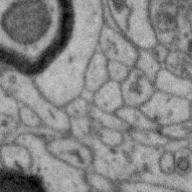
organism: Zebra finch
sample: Brain